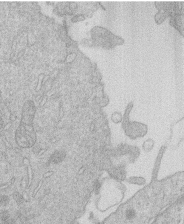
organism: Human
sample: Macrophage cells